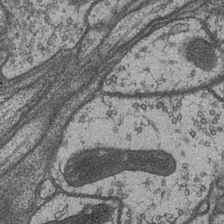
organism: Drosophila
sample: Optic medulla